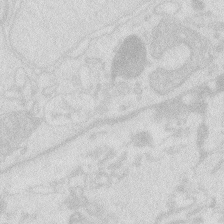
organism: Zebrafish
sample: Macrophage